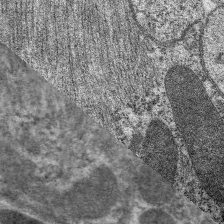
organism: C. elegans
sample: Pharynx